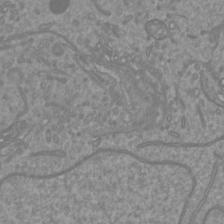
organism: Mouse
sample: Cortical neurons